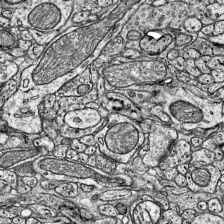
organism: Mouse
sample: Visual Cortex